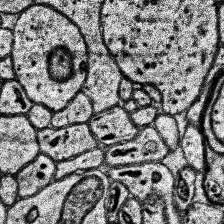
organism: Human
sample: Temporal Lobe